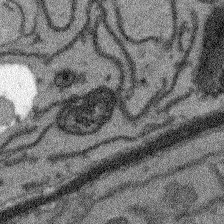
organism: Arabidopsis thaliana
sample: Root tip